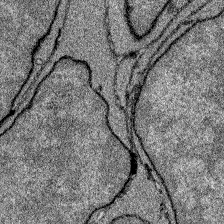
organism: Zebrafish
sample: Larval olfactory bulb